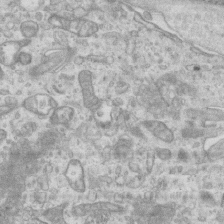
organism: Mouse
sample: Centriole in ependymal cells